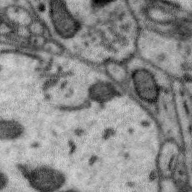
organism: Zebra finch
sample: Brain